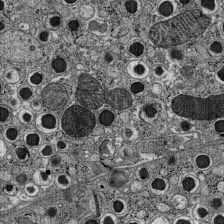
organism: C57BL Mouse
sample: Pancreatic islet